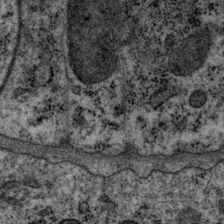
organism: P. pacificus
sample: Pharynx